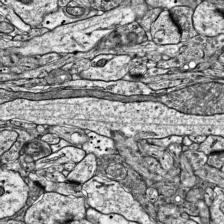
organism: Mouse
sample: Visual Cortex